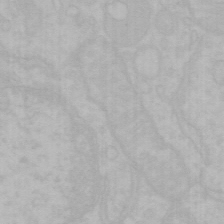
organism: Mouse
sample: Choroid plexus